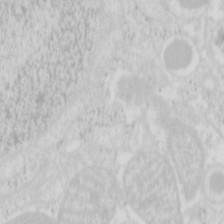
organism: Mouse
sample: Pancreas